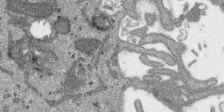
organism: Human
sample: Lung epithelial cells infected with SARS-CoV-2